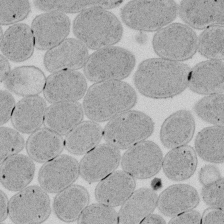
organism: E. coli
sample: Bacterial nucleoid